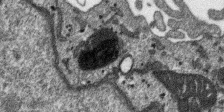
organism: Human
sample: Lung epithelial cells infected with SARS-CoV-2